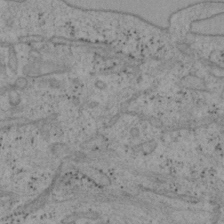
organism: Human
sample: HeLa cells